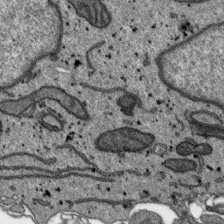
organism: Human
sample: Lung epithelial cells, uninfected (mock) control